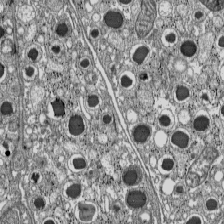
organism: C57BL Mouse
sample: Pancreatic islet